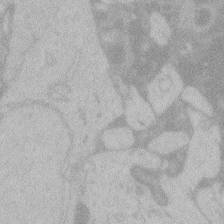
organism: Zebrafish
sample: Macrophage infected with Toxoplasma gondii